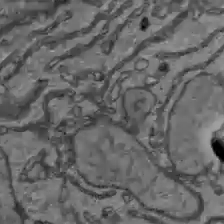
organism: C57BL Mouse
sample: Liver